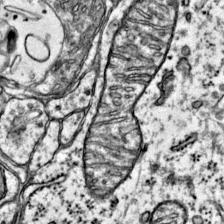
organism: Mouse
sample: Primary visual cortex